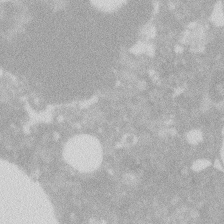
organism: Zebrafish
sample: Macrophage